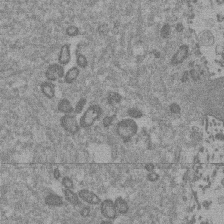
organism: Mouse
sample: Dividing mouse embryo 1 cell stage